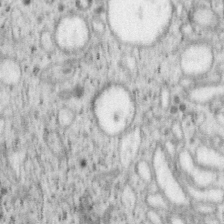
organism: Mouse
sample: OT-I killer T cells with ID8 ovarian cancer cells